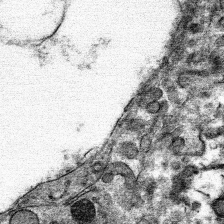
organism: Mouse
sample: Mouse hepatocytes